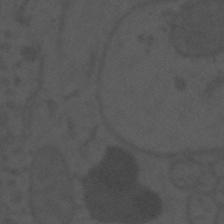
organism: Mouse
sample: Suprachiasmatic nucleus